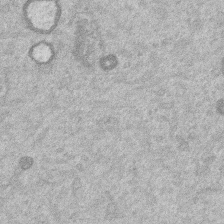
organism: Mouse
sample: Dividing mouse embryo 1 cell stage